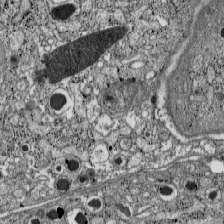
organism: C57BL Mouse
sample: Pancreatic islet